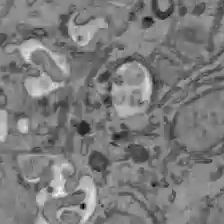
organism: C57BL Mouse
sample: Liver